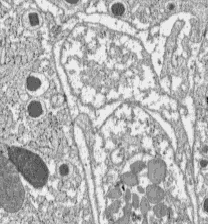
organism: C57BL Mouse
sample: Pancreatic islet